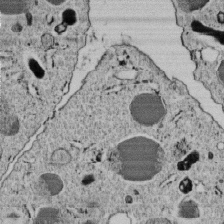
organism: C. elegans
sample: C. elegans embryo early stage